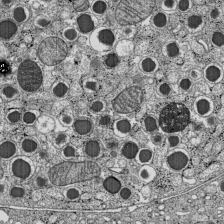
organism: C57BL Mouse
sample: Pancreatic islet